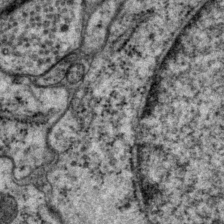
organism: P. pacificus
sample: Pharynx